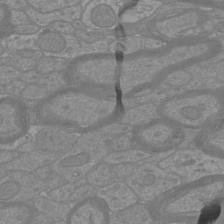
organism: Mouse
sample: Cortical neurons